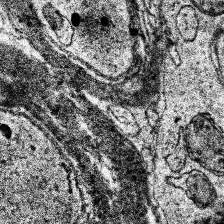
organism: Human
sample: Temporal Lobe